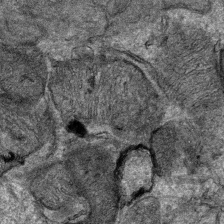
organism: Mouse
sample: Mouse Salivary gland